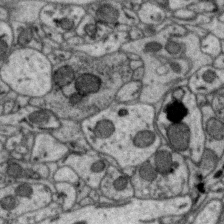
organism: Zebra finch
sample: Brain